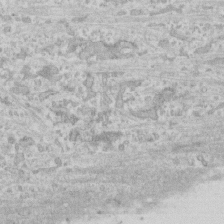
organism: Human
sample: CRL-1474